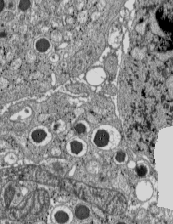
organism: C57BL Mouse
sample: Pancreatic islet